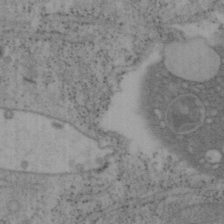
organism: Mouse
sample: OT-I killer T cells with ID8 ovarian cancer cells